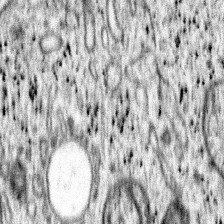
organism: Human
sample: HeLa cells